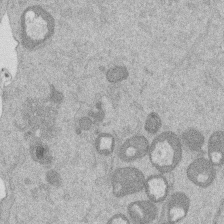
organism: Mouse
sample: Dividing mouse embryo 1 cell stage